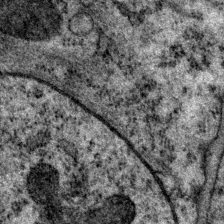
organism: P. pacificus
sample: Pharynx